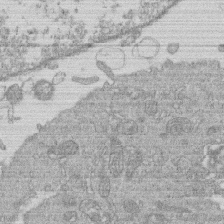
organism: Human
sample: Macrophage cells